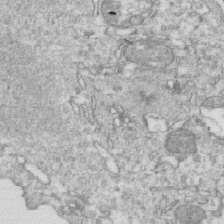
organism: Mouse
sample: Activated OT-1 CD8+ T cells